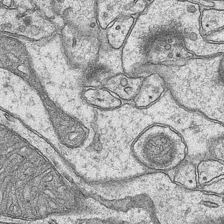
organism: Mouse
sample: CA1 Hippocampus